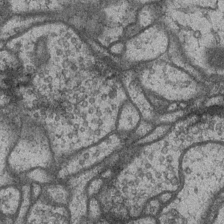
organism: Drosophila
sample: Optic medulla